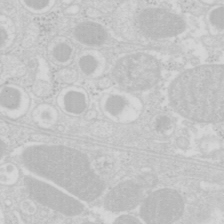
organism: Mouse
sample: Pancreas